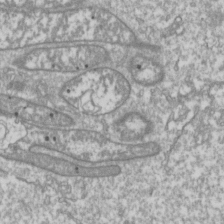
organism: Drosophila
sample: Cell division; meiosis; drosophila spermatocytes